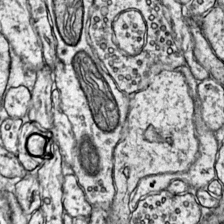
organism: Mouse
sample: Primary visual cortex